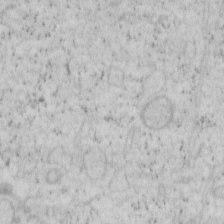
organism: Human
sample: HeLa cells